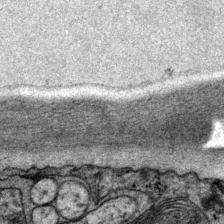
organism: P. pacificus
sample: Pharynx